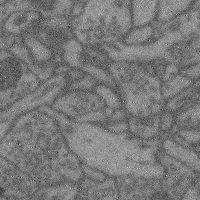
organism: Mouse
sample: Cerebral cortex